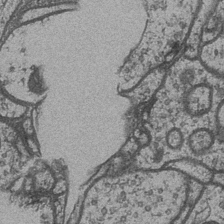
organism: Drosophila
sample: Optic medulla